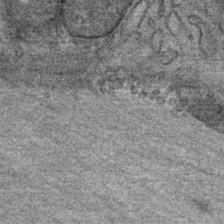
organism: Mouse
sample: Mouse Salivary gland